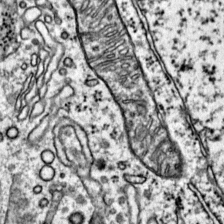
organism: Mouse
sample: Primary visual cortex